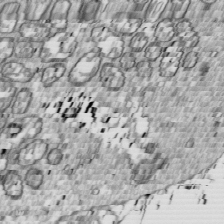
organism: Drosophila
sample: Cell division; meiosis; drosophila spermatocytes